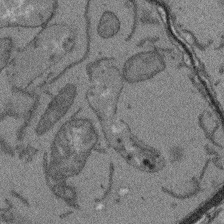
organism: Arabidopsis thaliana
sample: Root tip